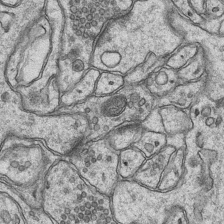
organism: Mouse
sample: CA1 Hippocampus